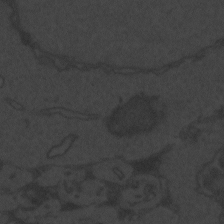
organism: Zebrafish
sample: Macrophage infected with Toxoplasma gondii